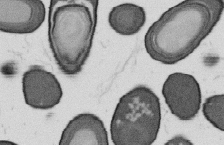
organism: B. subtilis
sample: Bacterial spore